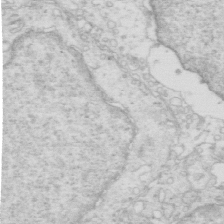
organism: Mouse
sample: Multiciliated cells